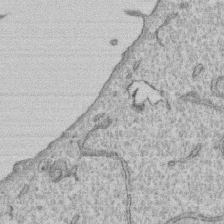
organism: Human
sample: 1205lu cells